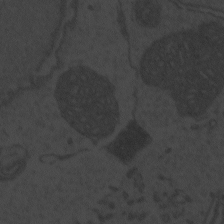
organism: Zebrafish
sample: Macrophage infected with Toxoplasma gondii